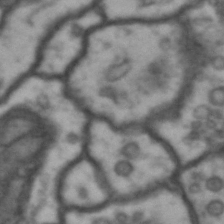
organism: Drosophila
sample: Brain